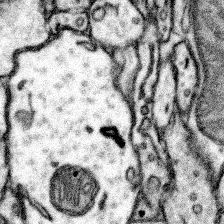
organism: Mouse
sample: Somatosensory cortex neuropil